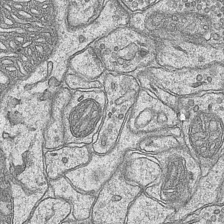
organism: Mouse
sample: CA1 Hippocampus